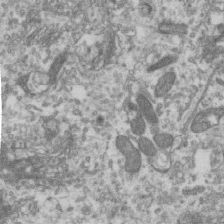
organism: Human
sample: Centriole in RPE cells